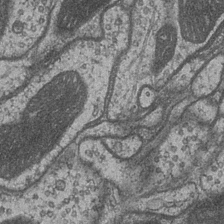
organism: Drosophila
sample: Optic medulla